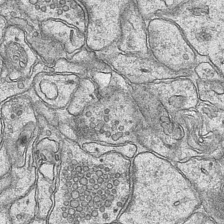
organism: Mouse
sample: CA1 Hippocampus